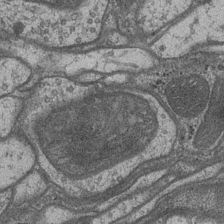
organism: Drosophila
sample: Optic medulla